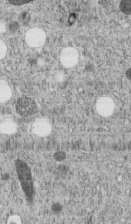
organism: C. elegans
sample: C. elegans embryo early stage